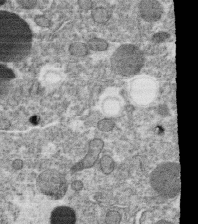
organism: C. elegans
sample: C. elegans oocyte; sperm cells